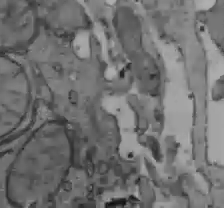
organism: C57BL Mouse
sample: Liver